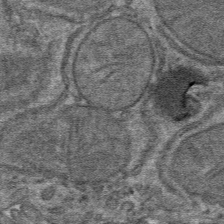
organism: Mouse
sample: Mouse hepatocytes